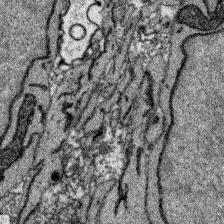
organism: Zebrafish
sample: Larval olfactory bulb